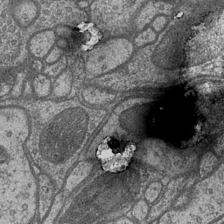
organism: Drosophila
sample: Optic medulla